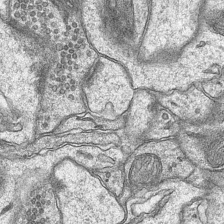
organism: Mouse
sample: CA1 Hippocampus